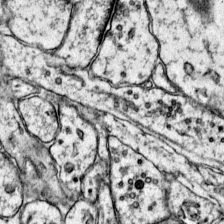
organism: Mouse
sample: Primary visual cortex